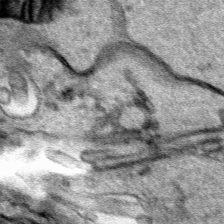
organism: Human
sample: Mitochondria in HCT116 cells